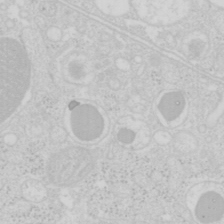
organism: Mouse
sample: Pancreas